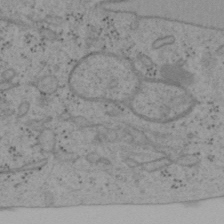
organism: Human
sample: HeLa cells